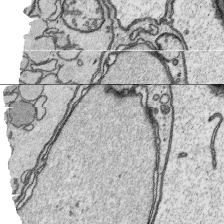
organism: Platynereis dumerilii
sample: Parapodia